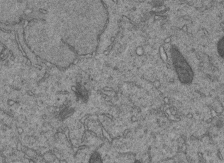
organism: C. elegans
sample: C. elegans embryo early stage